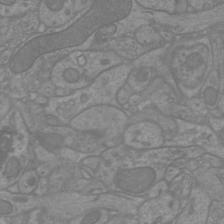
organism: Mouse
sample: Cortical neurons